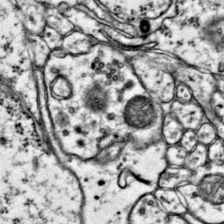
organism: Mouse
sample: Primary visual cortex